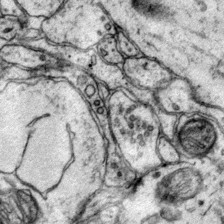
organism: Mouse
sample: Primary visual cortex